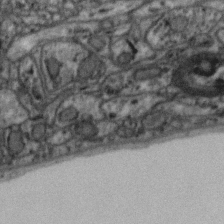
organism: Zebra finch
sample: Brain